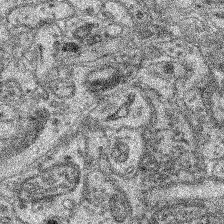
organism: Mouse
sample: Retina